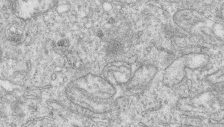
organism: Human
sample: HeLa cell HIV synapse